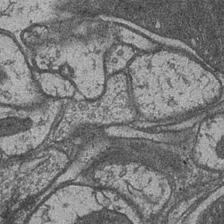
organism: Drosophila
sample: Optic medulla